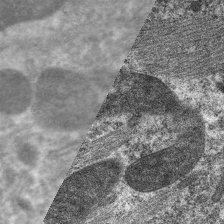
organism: C. elegans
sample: Pharynx